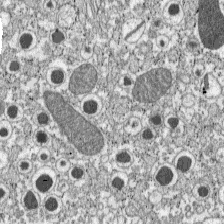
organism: C57BL Mouse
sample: Pancreatic islet